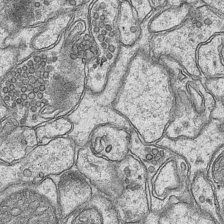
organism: Mouse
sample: CA1 Hippocampus